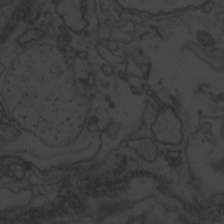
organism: Zebrafish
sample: Macrophage infected with Toxoplasma gondii